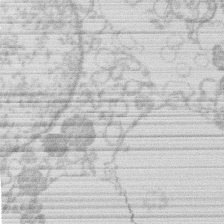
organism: Human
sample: Macrophage cells